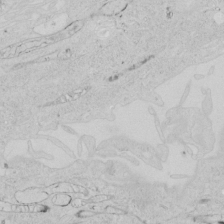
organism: Human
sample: Mitochondria in HCT116 cells